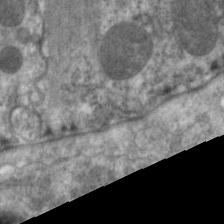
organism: C. elegans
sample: Pharynx